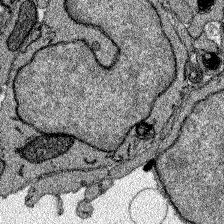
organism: Zebrafish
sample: Larval olfactory bulb